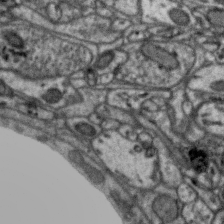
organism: Zebra finch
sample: Brain